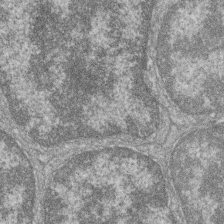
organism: Zebrafish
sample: Cilia; retinal pigment epithelium